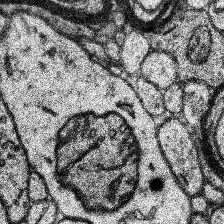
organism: Human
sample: Temporal Lobe